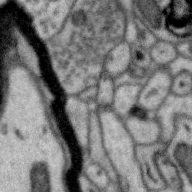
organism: Zebra finch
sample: Brain